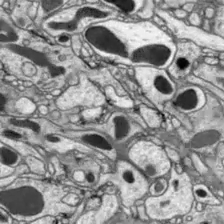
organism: Drosophila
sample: Optic lobe